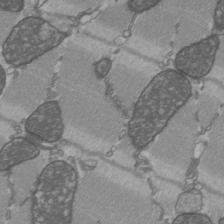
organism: C57BL Mouse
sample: Heart